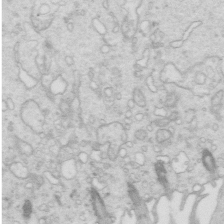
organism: Mouse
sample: Multiciliated cells